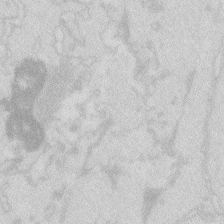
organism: Zebrafish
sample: Macrophage